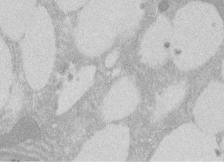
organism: Rat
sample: Salivary granule